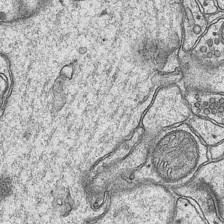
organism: Mouse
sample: CA1 Hippocampus